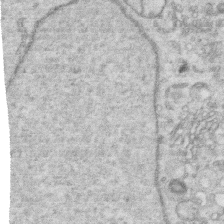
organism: Human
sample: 1205lu cells